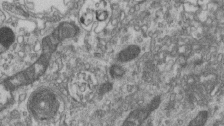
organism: Mouse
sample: Centriole in ependymal cells